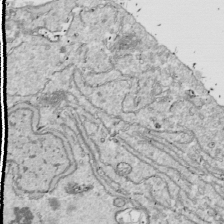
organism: Drosophila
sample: Cell division; meiosis; drosophila spermatocytes